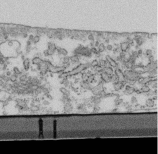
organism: Mouse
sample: Cilia; retinal pigment epithelium